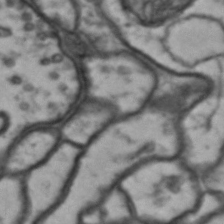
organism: Drosophila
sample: Brain